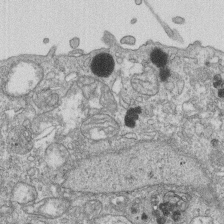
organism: Human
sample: HeLa cell HIV synapse